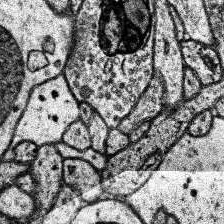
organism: Human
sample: Temporal Lobe